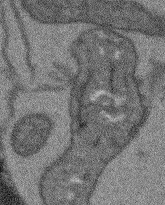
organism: Arabidopsis thaliana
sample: Root tip